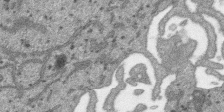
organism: Human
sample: Lung epithelial cells infected with SARS-CoV-2